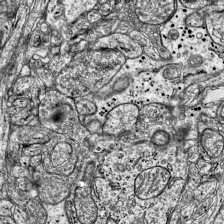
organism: Mouse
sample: Visual Cortex